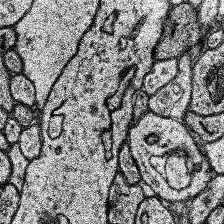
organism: Human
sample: Temporal Lobe